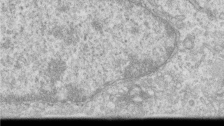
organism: Human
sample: Centriole in RPE cells